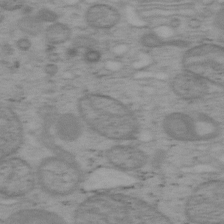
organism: Mouse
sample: OT-I killer T cells with ID8 ovarian cancer cells